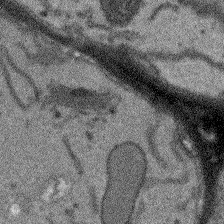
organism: Arabidopsis thaliana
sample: Root tip